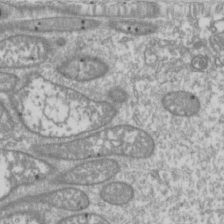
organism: Drosophila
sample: Cell division; meiosis; drosophila spermatocytes